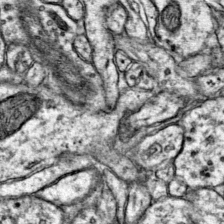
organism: Mouse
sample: Primary visual cortex